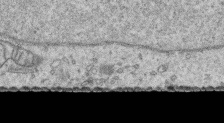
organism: Human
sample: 1205lu cells